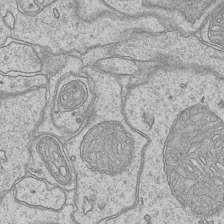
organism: Mouse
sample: CA1 Hippocampus